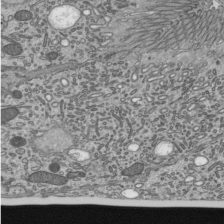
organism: Mouse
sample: Mouse epididymis efferent ductule cilia